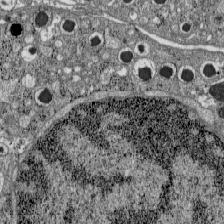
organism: C57BL Mouse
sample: Pancreatic islet